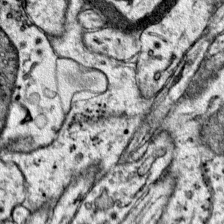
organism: Mouse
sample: Primary visual cortex